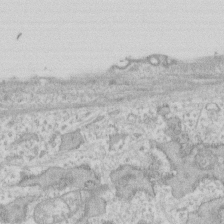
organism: Human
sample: Fibroblast cells